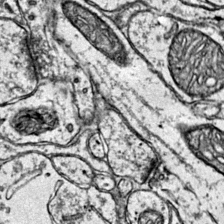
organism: Mouse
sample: Primary visual cortex